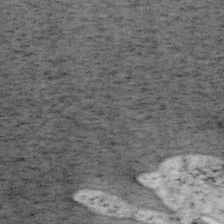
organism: Mouse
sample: OT-I killer T cells with ID8 ovarian cancer cells